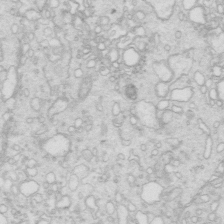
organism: Mouse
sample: Multiciliated cells